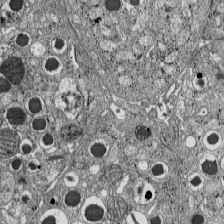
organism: C57BL Mouse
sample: Pancreatic islet